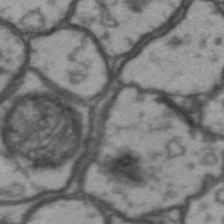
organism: Drosophila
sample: Brain